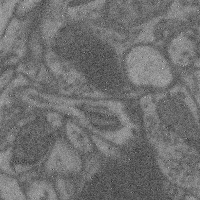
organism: Mouse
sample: Cerebral cortex